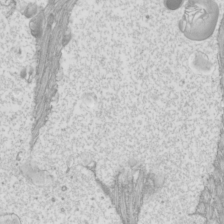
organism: Mouse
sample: Cilia; mouse epididymis